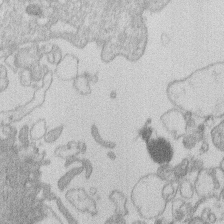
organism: Human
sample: Macrophage cells